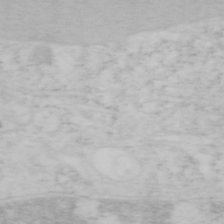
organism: Mouse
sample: OT-I killer T cells with ID8 ovarian cancer cells